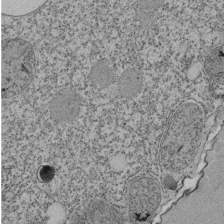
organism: Tetrahymena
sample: Cilia in tetrahymena